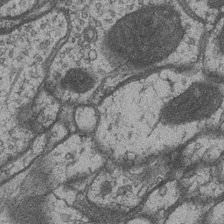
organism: Drosophila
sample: Optic medulla